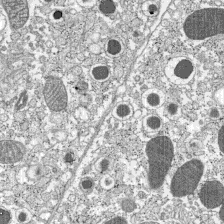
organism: C57BL Mouse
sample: Pancreatic islet